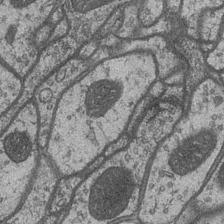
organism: Drosophila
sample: Optic medulla